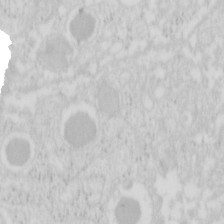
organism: Mouse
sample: Pancreas